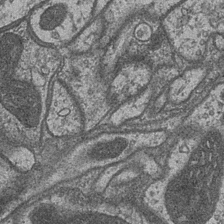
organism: Drosophila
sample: Optic medulla